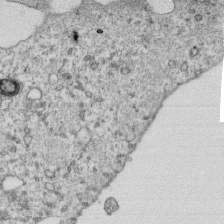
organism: Mouse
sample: Activated OT-1 CD8+ T cells